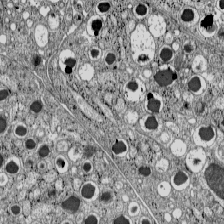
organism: C57BL Mouse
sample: Pancreatic islet